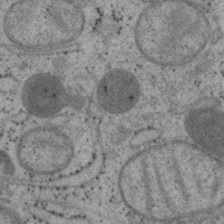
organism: Human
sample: HeLa cells